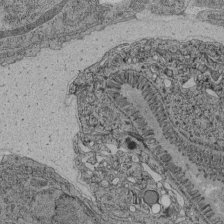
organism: C. elegans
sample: C. elegans pharynx